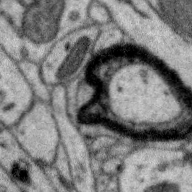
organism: Zebra finch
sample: Brain